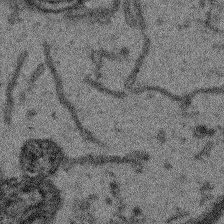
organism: Arabidopsis thaliana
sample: Root tip